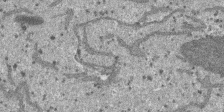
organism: Human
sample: Lung epithelial cells infected with SARS-CoV-2